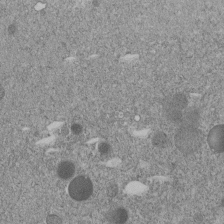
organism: C. elegans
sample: C. elegans embryo early stage